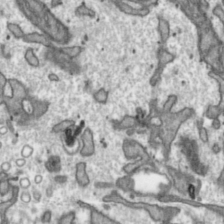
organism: Toxoplasma gondii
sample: Parasites in a vacuole inside a host cell